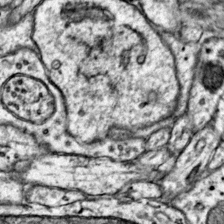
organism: Mouse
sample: Primary visual cortex